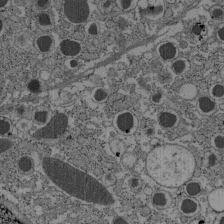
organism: C57BL Mouse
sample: Pancreatic islet